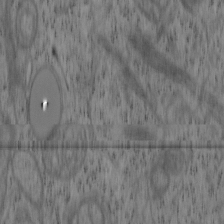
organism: Human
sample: HeLa cells